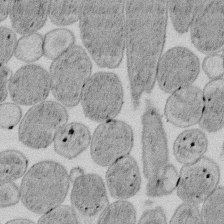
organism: E. coli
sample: Bacterial nucleoid